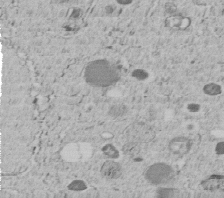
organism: C. elegans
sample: C. elegans embryo early stage